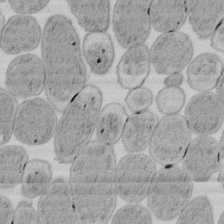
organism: E. coli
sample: Bacterial nucleoid